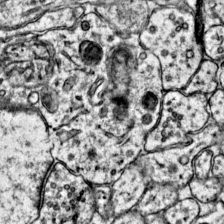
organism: Mouse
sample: Primary visual cortex